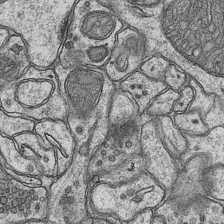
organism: Mouse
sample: CA1 Hippocampus